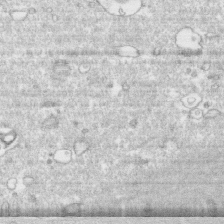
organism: Human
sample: CRL-1474